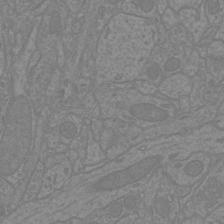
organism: Mouse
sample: Cortical neurons